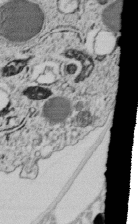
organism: C. elegans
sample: C. elegans embryo early stage